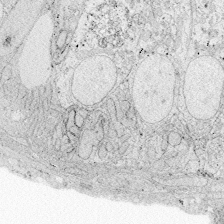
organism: Zebrafish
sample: Whole-Brain